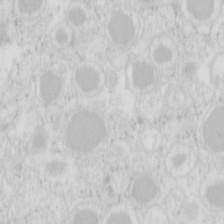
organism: Mouse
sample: Pancreas